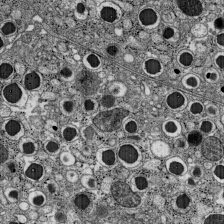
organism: C57BL Mouse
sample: Pancreatic islet